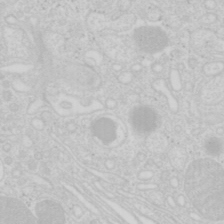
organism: Mouse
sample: Pancreas